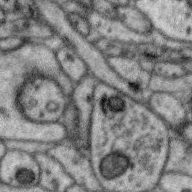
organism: Zebra finch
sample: Brain